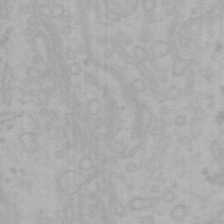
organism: Mouse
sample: Choroid plexus